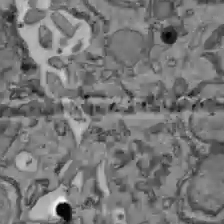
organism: C57BL Mouse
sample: Liver